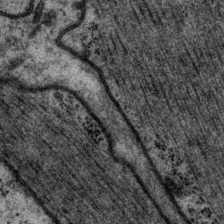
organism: P. pacificus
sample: Pharynx